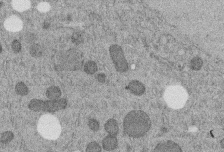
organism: C. elegans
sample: C. elegans embryo early stage